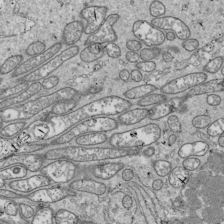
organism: Drosophila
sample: Cell division; meiosis; drosophila spermatocytes